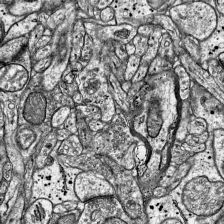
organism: Mouse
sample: Visual Cortex